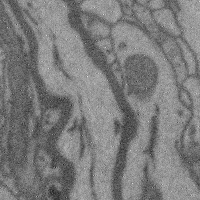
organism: Mouse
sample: Cerebral cortex